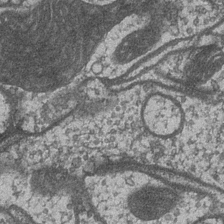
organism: Drosophila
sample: Optic medulla